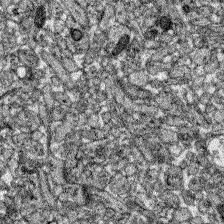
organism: Zebrafish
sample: Larval olfactory bulb